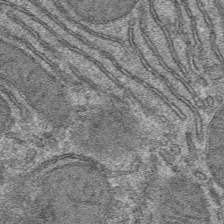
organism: Mouse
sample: Mouse hepatocytes